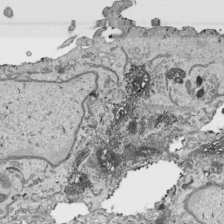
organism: Human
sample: Mitochondria in HCT116 cells